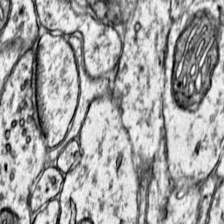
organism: Mouse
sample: Primary visual cortex